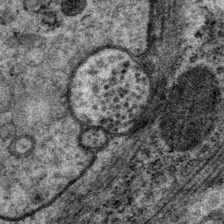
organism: P. pacificus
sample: Pharynx